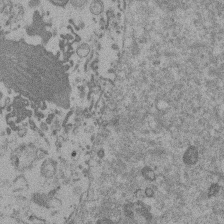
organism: Mouse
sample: Dividing mouse embryo 1 cell stage